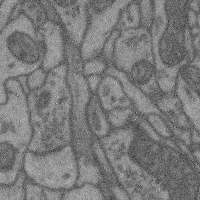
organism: Mouse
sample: Cerebral cortex